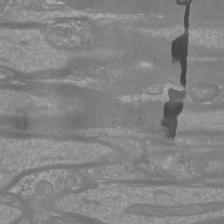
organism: Mouse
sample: Cortical neurons